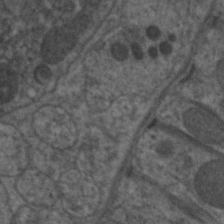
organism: C. elegans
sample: Pharynx